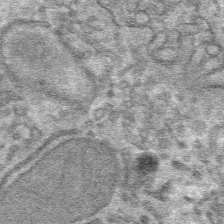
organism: Mouse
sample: Mouse hepatocytes